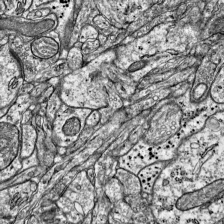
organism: Mouse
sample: Visual Cortex